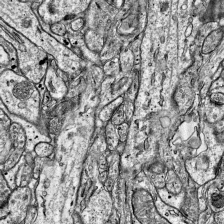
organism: Mouse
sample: Visual Cortex